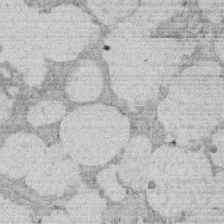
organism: Rat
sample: Salivary granule